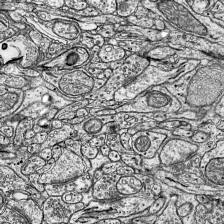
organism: Mouse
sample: Visual Cortex